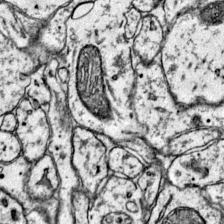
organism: Mouse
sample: Primary visual cortex